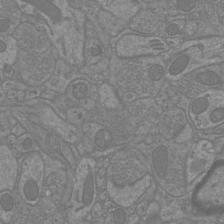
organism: Mouse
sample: Cortical neurons